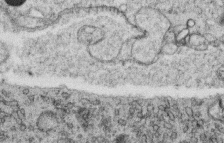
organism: C. elegans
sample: C. elegans oocyte; sperm cells